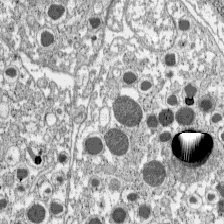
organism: C57BL Mouse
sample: Pancreatic islet